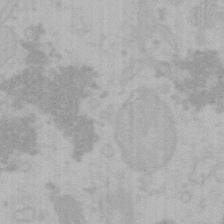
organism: Mouse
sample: Choroid plexus